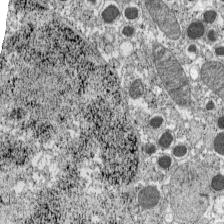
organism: C57BL Mouse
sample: Pancreatic islet